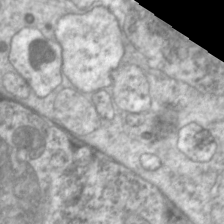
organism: C. elegans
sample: Pharynx